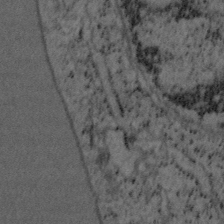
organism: Human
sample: HeLa cells